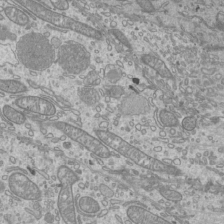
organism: Mouse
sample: Cilia; mouse epididymis